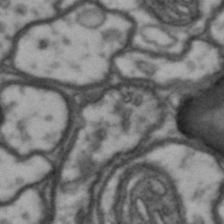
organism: Drosophila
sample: Brain